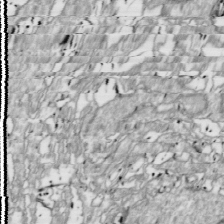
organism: Drosophila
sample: Cell division; meiosis; drosophila spermatocytes